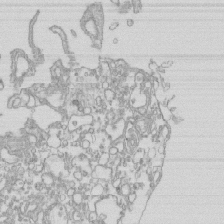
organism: Mouse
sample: Macrophages